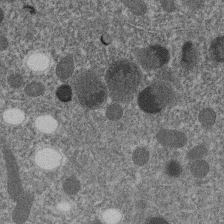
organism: C. elegans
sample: C. elegans embryo early stage